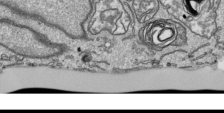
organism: Human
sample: Mitochondria in HCT116 cells